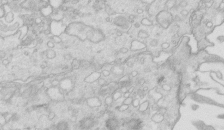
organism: Mouse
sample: Multiciliated cells